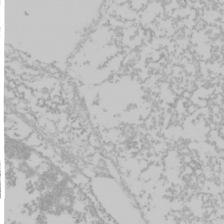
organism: Mouse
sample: Cancer cell death in ED-1 cells